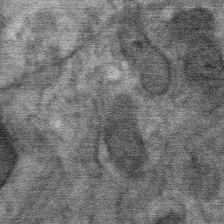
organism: Mouse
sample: Mouse Salivary gland